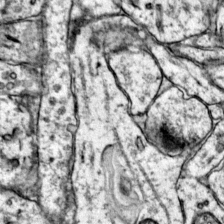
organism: Mouse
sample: Primary visual cortex